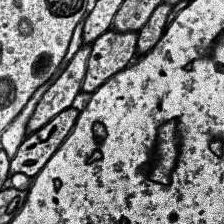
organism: Human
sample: Temporal Lobe